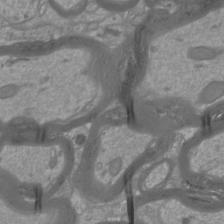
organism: Mouse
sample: Cortical neurons